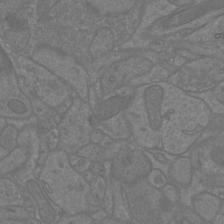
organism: Mouse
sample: Cortical neurons